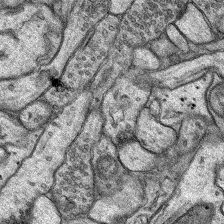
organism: Rat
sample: Hippocampus